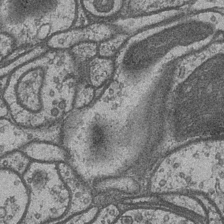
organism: Drosophila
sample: Optic medulla